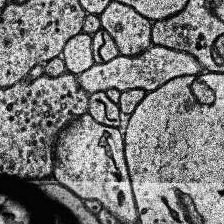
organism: Human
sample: Temporal Lobe